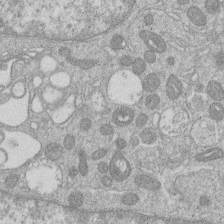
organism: Human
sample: Macrophage cells